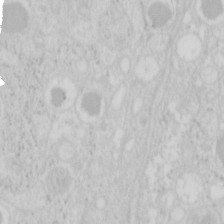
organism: Mouse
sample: Pancreas